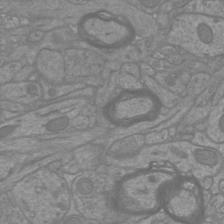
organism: Mouse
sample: Cortical neurons